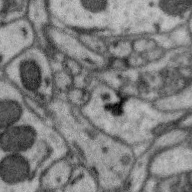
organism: Zebra finch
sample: Brain